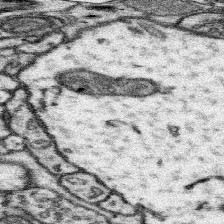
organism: Mouse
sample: Somatosensory cortex neuropil